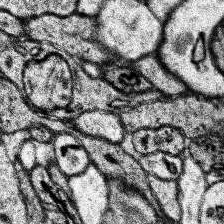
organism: Human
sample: Temporal Lobe